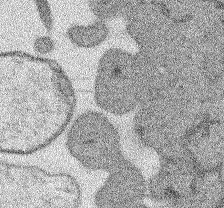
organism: Human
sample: HeLa cells